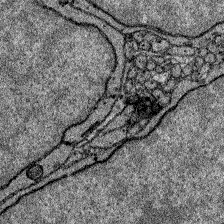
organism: Zebrafish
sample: Larval olfactory bulb